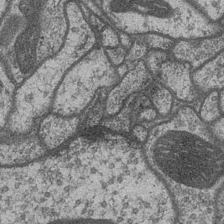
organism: Drosophila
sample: Optic medulla